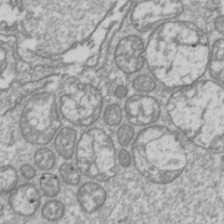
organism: Drosophila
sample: Cell division; meiosis; drosophila spermatocytes